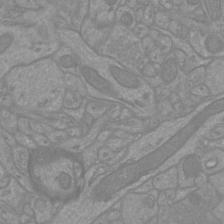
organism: Mouse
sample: Cortical neurons